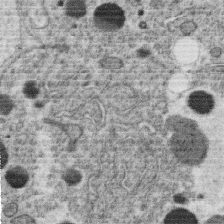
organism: C. elegans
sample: C. elegans oocyte; sperm cells